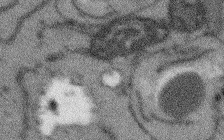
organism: Arabidopsis thaliana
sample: Root tip